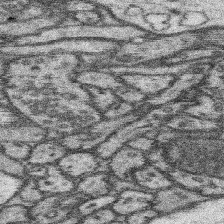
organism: Mouse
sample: Somatosensory cortex neuropil